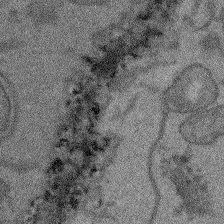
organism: Arabidopsis thaliana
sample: Root tip